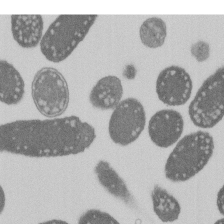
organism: E. coli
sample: Bacterial nucleoid